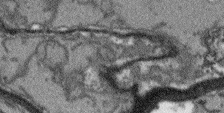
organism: Arabidopsis thaliana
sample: Root tip